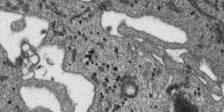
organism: Human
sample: Lung epithelial cells infected with SARS-CoV-2